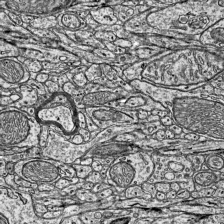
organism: Mouse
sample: Visual Cortex